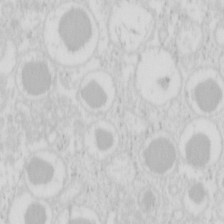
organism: Mouse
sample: Pancreas